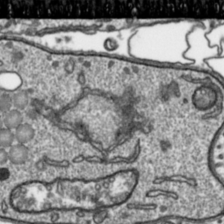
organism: Toxoplasma gondii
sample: Parasites in a vacuole inside a host cell